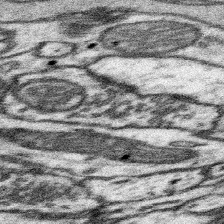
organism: Mouse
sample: Somatosensory cortex neuropil